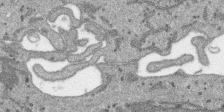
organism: Human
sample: Lung epithelial cells infected with SARS-CoV-2